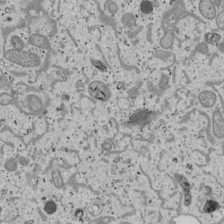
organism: Human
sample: Mitochondria in U2OS cells